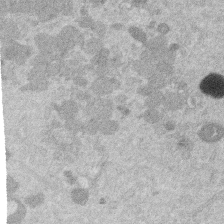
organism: Mouse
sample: Dividing mouse embryo 1 cell stage